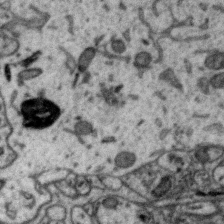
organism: Zebra finch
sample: Brain